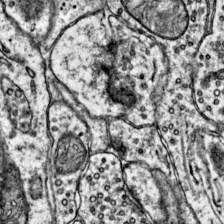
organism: Mouse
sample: Primary visual cortex